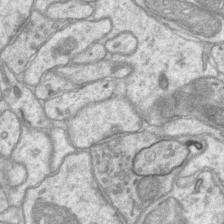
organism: Mouse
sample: CA1 Hippocampus